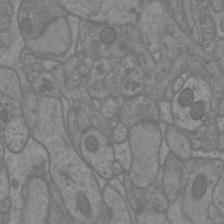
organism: Mouse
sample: Cortical neurons